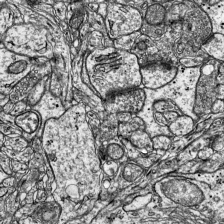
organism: Mouse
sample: Visual Cortex